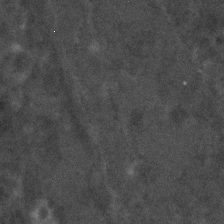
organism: C. elegans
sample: C. elegans embryo